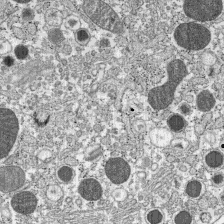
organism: C57BL Mouse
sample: Pancreatic islet